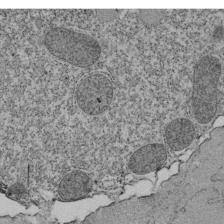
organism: Tetrahymena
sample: Cilia in tetrahymena